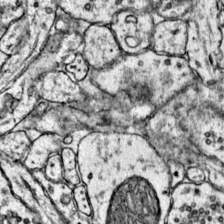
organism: Mouse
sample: Primary visual cortex